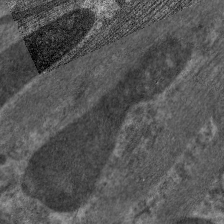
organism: C. elegans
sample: Pharynx